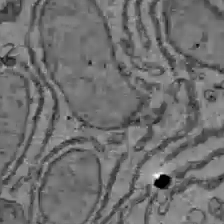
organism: C57BL Mouse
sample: Liver